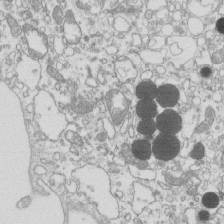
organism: Mouse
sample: Macrophages